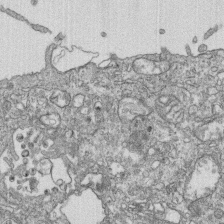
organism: Human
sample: HeLa cell HIV synapse